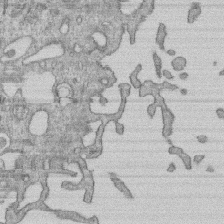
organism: Human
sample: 1205lu cells